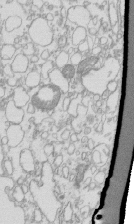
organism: Mouse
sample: Macrophages